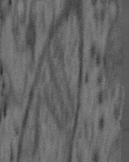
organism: Human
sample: HeLa cells